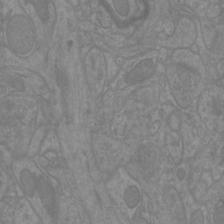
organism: Mouse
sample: Cortical neurons